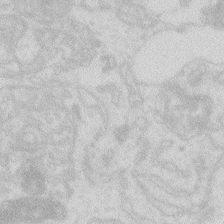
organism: Zebrafish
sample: Macrophage